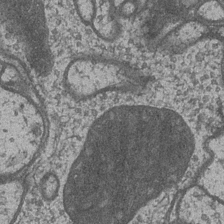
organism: Drosophila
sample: Optic medulla